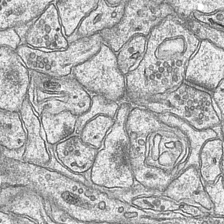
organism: Mouse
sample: CA1 Hippocampus